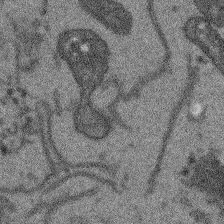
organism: Arabidopsis thaliana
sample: Root tip